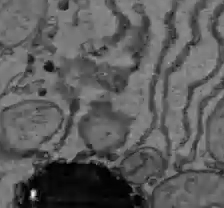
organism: C57BL Mouse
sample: Liver